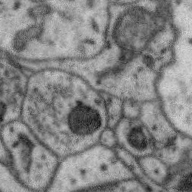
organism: Zebra finch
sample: Brain